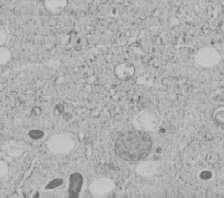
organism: C. elegans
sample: C. elegans embryo early stage